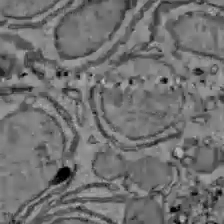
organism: C57BL Mouse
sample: Liver